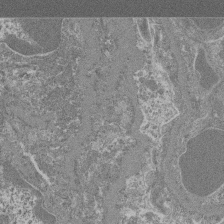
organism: Mouse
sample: Glomerulus